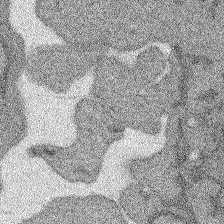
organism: Human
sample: HeLa cells